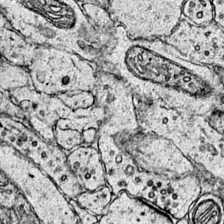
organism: Mouse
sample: Primary visual cortex